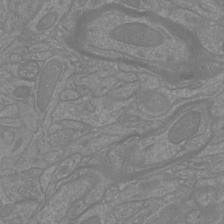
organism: Mouse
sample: Cortical neurons